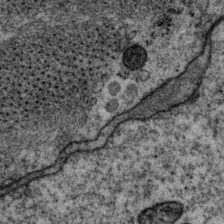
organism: P. pacificus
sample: Pharynx